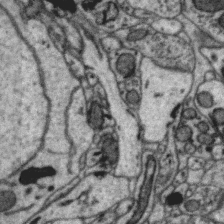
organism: Zebra finch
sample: Brain